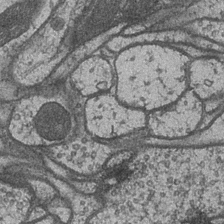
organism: Drosophila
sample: Optic medulla